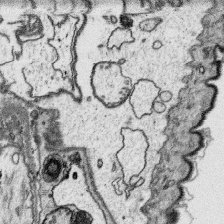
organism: Platynereis dumerilii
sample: Parapodia